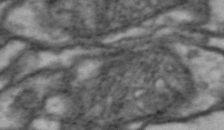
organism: Drosophila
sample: Brain